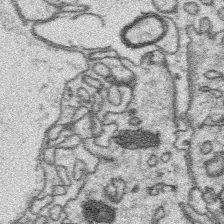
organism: Platynereis dumerilii